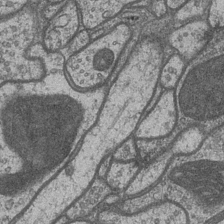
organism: Drosophila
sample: Optic medulla